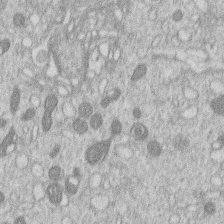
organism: Human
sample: Macrophage cells